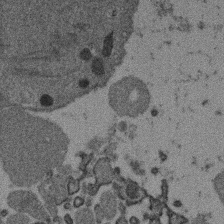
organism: Mouse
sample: Dividing mouse embryo 1 cell stage